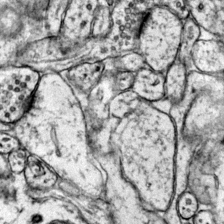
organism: Mouse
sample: Primary visual cortex